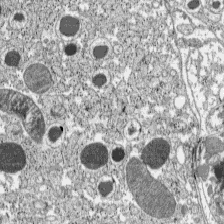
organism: C57BL Mouse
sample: Pancreatic islet